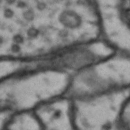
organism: Drosophila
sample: Brain